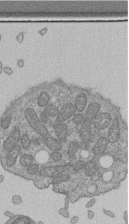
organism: Human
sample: Retinal organoid Rod and Cone cells